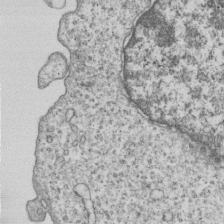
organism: Human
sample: MDA-MB-231 cells